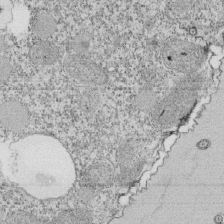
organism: Tetrahymena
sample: Cilia in tetrahymena